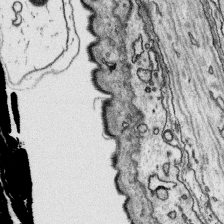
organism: Platynereis dumerilii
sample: Parapodia